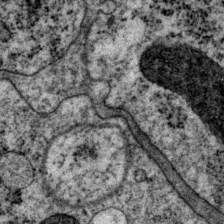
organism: P. pacificus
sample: Pharynx